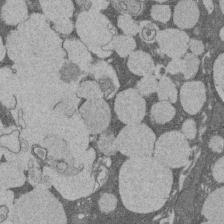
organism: Rat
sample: Salivary granule